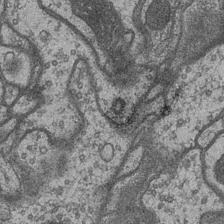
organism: Drosophila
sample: Optic medulla